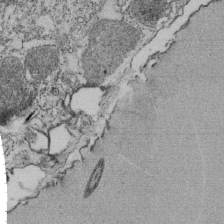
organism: Tetrahymena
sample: Cilia in tetrahymena